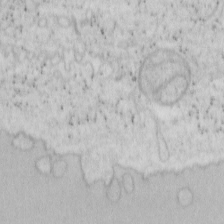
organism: Human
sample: HeLa cells